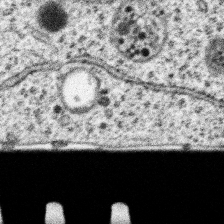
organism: Human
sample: HeLa cells